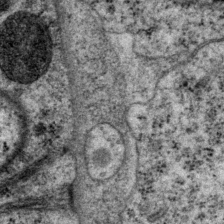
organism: P. pacificus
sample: Pharynx